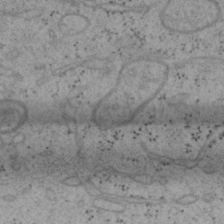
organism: Human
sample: HeLa cells